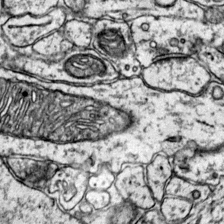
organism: Mouse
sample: Primary visual cortex